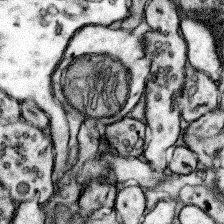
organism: Mouse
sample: Somatosensory cortex neuropil